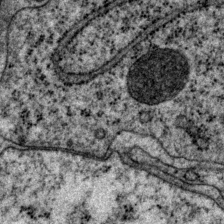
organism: P. pacificus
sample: Pharynx